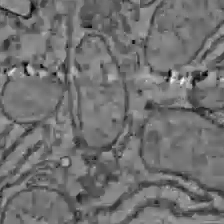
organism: C57BL Mouse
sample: Liver